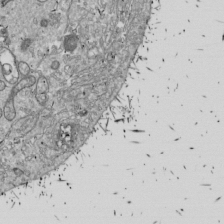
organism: Drosophila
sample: Cell division; meiosis; drosophila spermatocytes